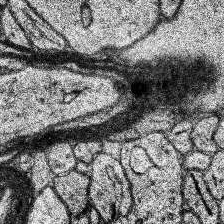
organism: Human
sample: Temporal Lobe